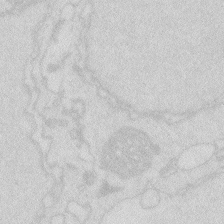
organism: Zebrafish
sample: Macrophage